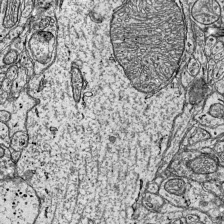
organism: Mouse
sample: Visual Cortex